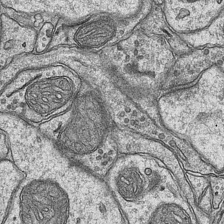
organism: Mouse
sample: CA1 Hippocampus